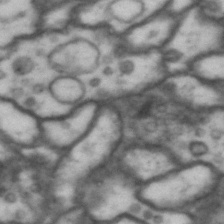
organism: Drosophila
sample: Brain